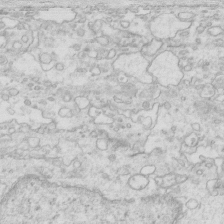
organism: Mouse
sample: Multiciliated cells